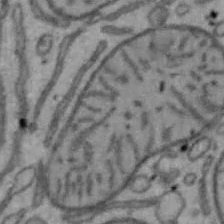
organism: Mouse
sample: Liver